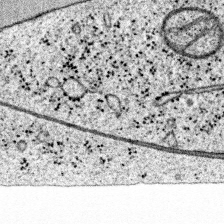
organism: Human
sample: HeLa cells